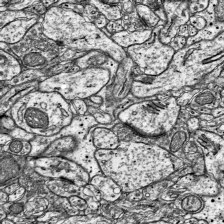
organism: Mouse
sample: Visual Cortex